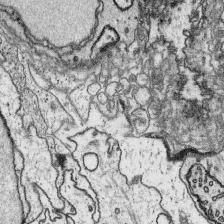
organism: Platynereis dumerilii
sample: Parapodia